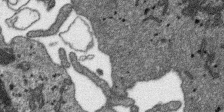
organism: Human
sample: Lung epithelial cells infected with SARS-CoV-2